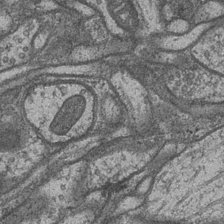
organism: Drosophila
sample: Optic medulla